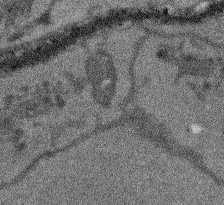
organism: Arabidopsis thaliana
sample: Root tip